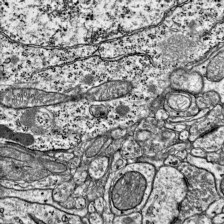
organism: Mouse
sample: Visual Cortex